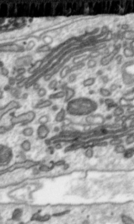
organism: Toxoplasma gondii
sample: Parasites in a vacuole inside a host cell